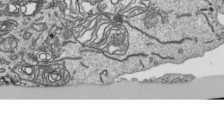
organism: Human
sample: Mitochondria in HCT116 cells